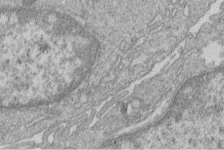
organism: Human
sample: Macrophage cells